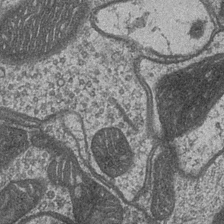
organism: Drosophila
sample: Optic medulla